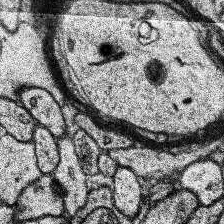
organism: Human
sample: Temporal Lobe